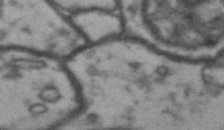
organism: Drosophila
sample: Brain